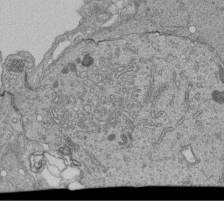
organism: Human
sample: Retinal organoid Rod and Cone cells